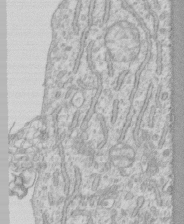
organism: Human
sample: CRL-1474